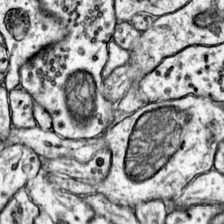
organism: Mouse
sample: Primary visual cortex